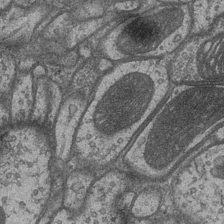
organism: Drosophila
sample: Optic medulla